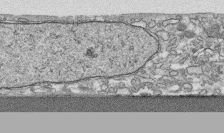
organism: Human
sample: CRL-1474